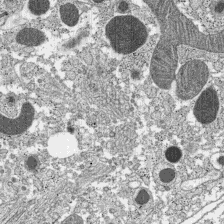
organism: C57BL Mouse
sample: Pancreatic islet